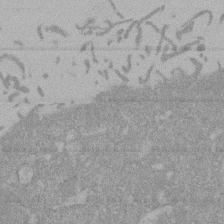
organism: Mouse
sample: ED-1 cell nuclei; centrioles